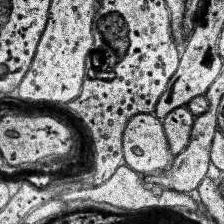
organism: Human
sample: Temporal Lobe